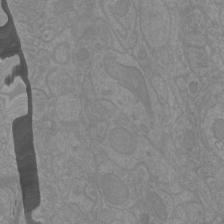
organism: Mouse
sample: Cortical neurons